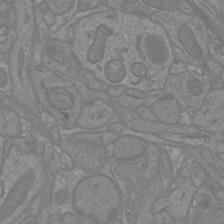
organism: Mouse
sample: Cortical neurons